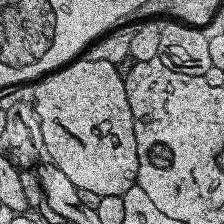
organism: Human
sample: Temporal Lobe